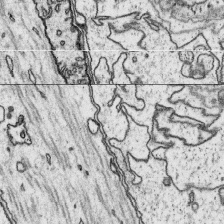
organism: Platynereis dumerilii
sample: Parapodia